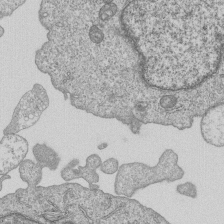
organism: Human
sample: MDA-MB-231 cells